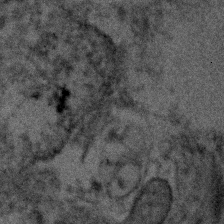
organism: Human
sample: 1205lu cells